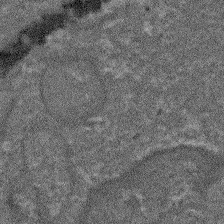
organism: Arabidopsis thaliana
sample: Root tip